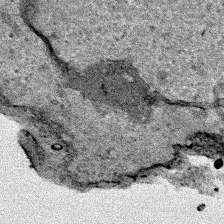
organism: Human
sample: Mitochondria in HCT116 cells